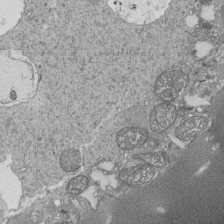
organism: Tetrahymena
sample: Cilia in tetrahymena